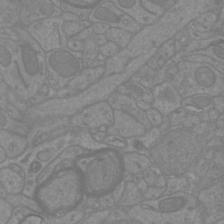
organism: Mouse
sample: Cortical neurons